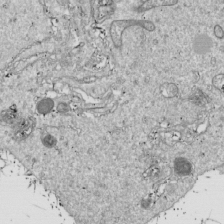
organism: Drosophila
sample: Cell division; meiosis; drosophila spermatocytes